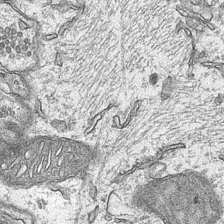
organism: Mouse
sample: CA1 Hippocampus